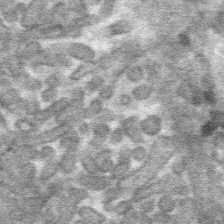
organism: Mouse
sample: Mouse hepatocytes